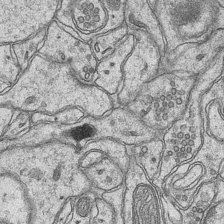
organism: Mouse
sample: CA1 Hippocampus